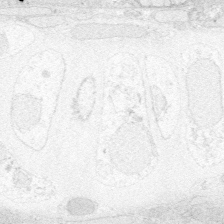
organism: Zebrafish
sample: Whole-Brain